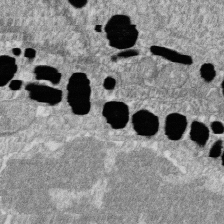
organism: Zebrafish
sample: Cilia; retinal pigment epithelium